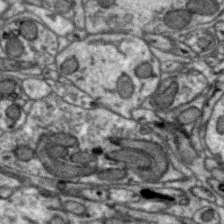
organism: Zebra finch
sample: Brain